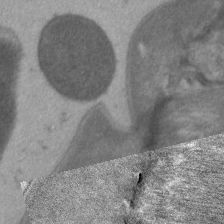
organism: C. elegans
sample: Pharynx